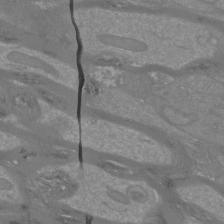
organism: Mouse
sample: Cortical neurons